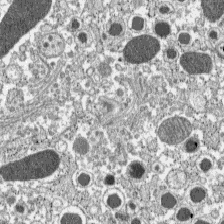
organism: C57BL Mouse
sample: Pancreatic islet